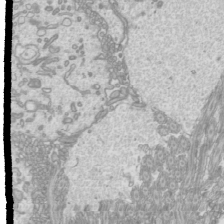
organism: Mouse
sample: Cilia; mouse epididymis